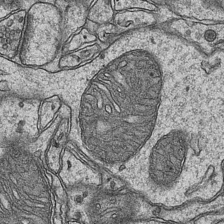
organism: Mouse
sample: CA1 Hippocampus